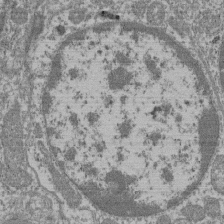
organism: Mouse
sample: Glomerulus